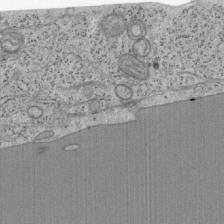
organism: Human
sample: HeLa cells